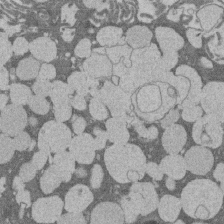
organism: Rat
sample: Salivary granule